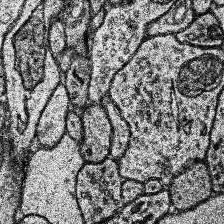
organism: Human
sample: Temporal Lobe